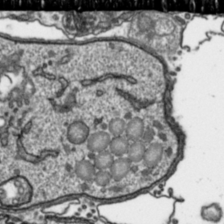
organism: Toxoplasma gondii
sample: Parasites in a vacuole inside a host cell